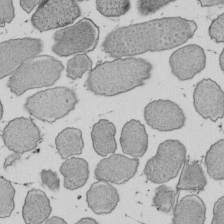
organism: E. coli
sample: Bacterial nucleoid